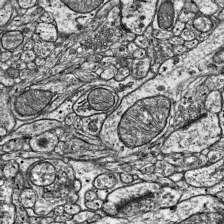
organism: Mouse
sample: Visual Cortex